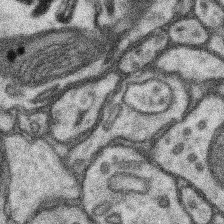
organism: Mouse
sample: Somatosensory cortex neuropil